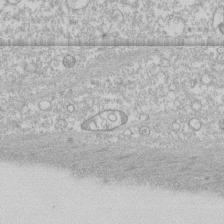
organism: Human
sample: CRL-1474